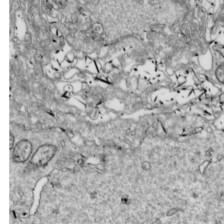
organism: Drosophila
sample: Cell division; meiosis; drosophila spermatocytes